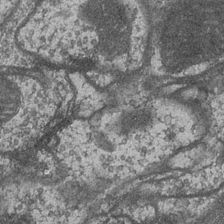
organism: Drosophila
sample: Optic medulla